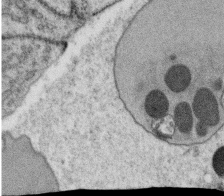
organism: C. elegans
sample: C. elegans oocyte; sperm cells